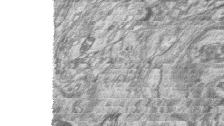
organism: Zebrafish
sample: synaptic ribbons in rod cells and cone cells